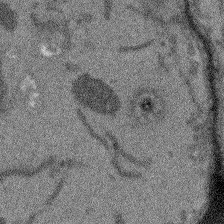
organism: Arabidopsis thaliana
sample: Root tip